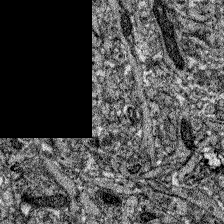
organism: Zebrafish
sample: Larval olfactory bulb